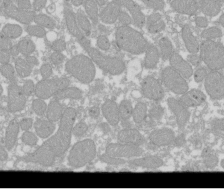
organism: Xenopus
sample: Cilia; centrioles in frog embryo cells